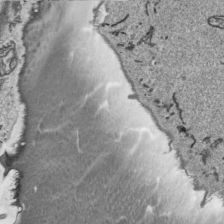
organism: Human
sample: Mitochondria in HCT116 cells